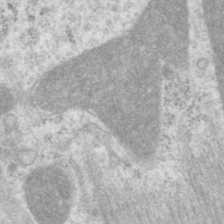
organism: P. pacificus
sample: Pharynx